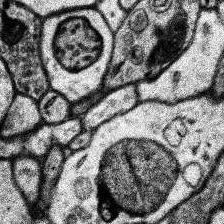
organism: Human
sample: Temporal Lobe